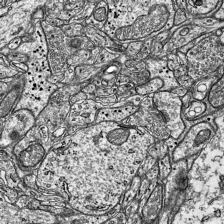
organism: Mouse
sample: Visual Cortex